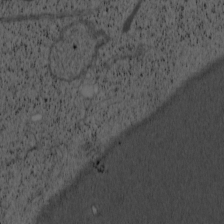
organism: African green monkey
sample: COS-7 cells